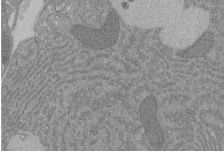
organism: Rat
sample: Salivary granule